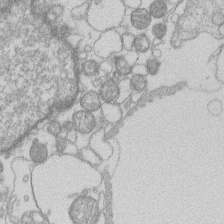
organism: Human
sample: Macrophage cells